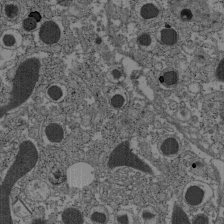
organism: C57BL Mouse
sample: Pancreatic islet